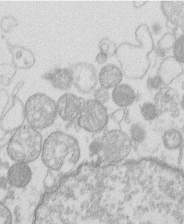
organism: Human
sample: Macrophage cells